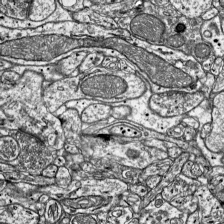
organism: Mouse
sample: Visual Cortex